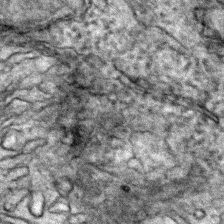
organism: Zebrafish